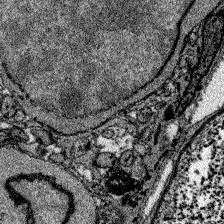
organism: Zebrafish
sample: Larval olfactory bulb